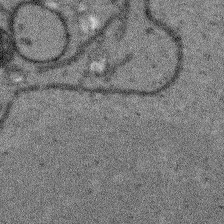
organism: Arabidopsis thaliana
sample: Root tip